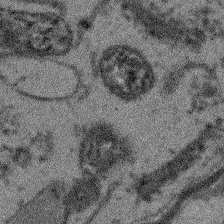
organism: Arabidopsis thaliana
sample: Root tip